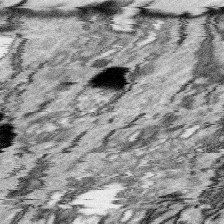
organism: Human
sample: HeLa cells